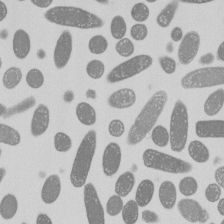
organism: E. coli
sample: Bacterial nucleoid